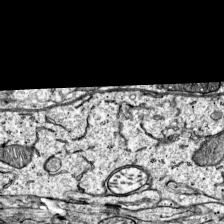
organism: Mouse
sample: Visual Cortex